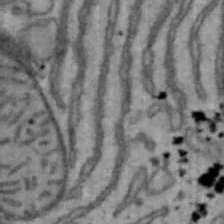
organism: Mouse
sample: Liver